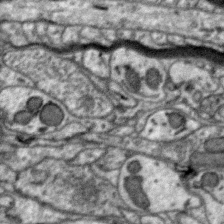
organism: Zebra finch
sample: Brain